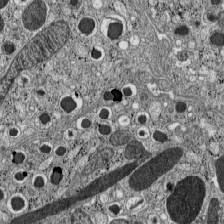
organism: C57BL Mouse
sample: Pancreatic islet